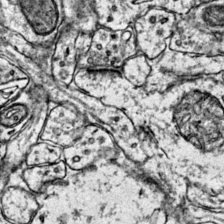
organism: Mouse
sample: Primary visual cortex